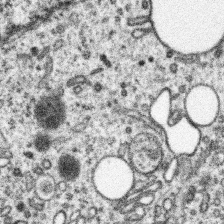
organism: Human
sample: HeLa cells